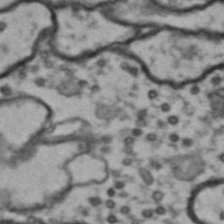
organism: Drosophila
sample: Brain